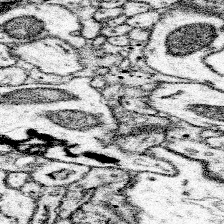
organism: Mouse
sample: Somatosensory cortex neuropil